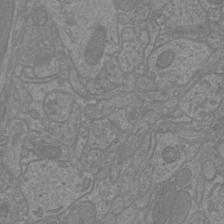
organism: Mouse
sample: Cortical neurons